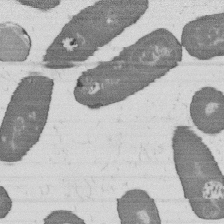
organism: B. subtilis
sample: Bacterial spore